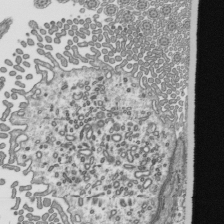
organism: Mouse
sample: Mouse epididymis efferent ductule cilia